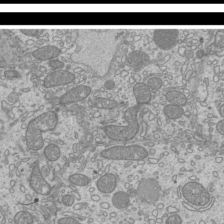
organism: Mouse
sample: Cilia; mouse epididymis